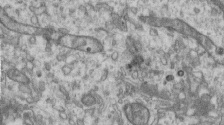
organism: Human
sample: Centriole in RPE cells